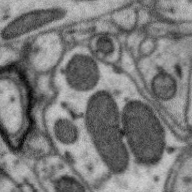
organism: Zebra finch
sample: Brain